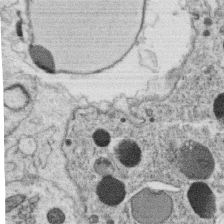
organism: C. elegans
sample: C. elegans oocyte; sperm cells